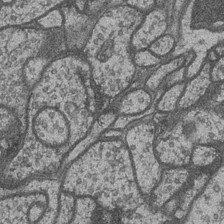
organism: Drosophila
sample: Optic medulla